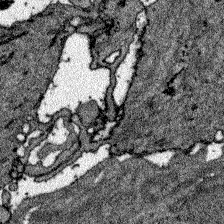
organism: Zebrafish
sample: Larval olfactory bulb